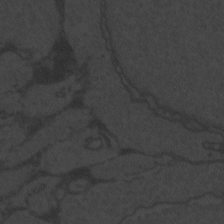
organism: Zebrafish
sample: Macrophage infected with Toxoplasma gondii